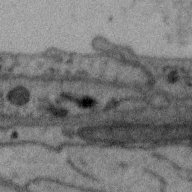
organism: Zebra finch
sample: Brain